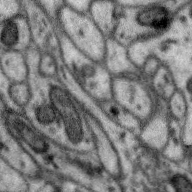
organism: Zebra finch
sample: Brain